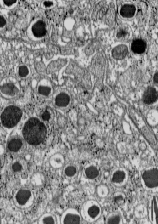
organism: C57BL Mouse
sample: Pancreatic islet